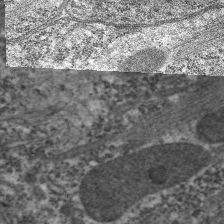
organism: C. elegans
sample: Pharynx